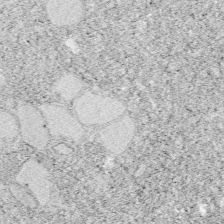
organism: Zebrafish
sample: Whole-Brain